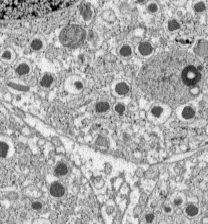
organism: C57BL Mouse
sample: Pancreatic islet